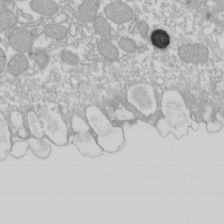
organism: Xenopus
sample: Cilia; centrioles in frog embryo cells